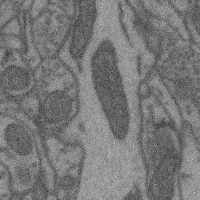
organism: Mouse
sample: Cerebral cortex